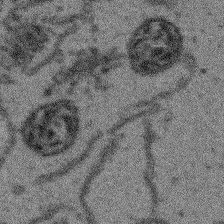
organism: Arabidopsis thaliana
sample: Root tip